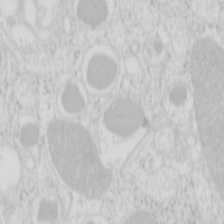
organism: Mouse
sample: Pancreas